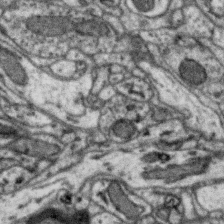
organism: Zebra finch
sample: Brain